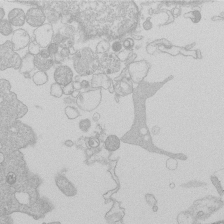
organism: Human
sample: Macrophage cells